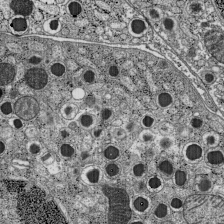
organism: C57BL Mouse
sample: Pancreatic islet